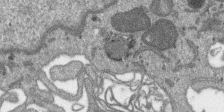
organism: Human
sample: Lung epithelial cells infected with SARS-CoV-2